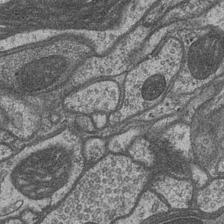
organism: Drosophila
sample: Optic medulla